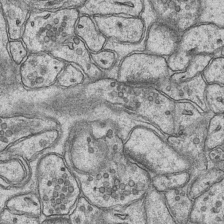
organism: Mouse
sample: CA1 Hippocampus